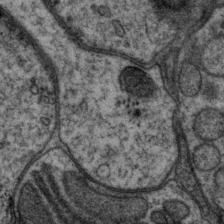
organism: P. pacificus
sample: Pharynx